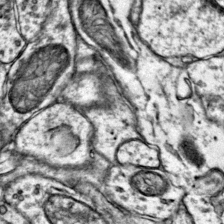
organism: Mouse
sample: Primary visual cortex